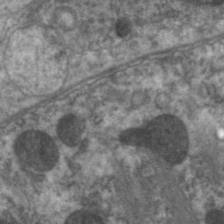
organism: C. elegans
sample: Pharynx